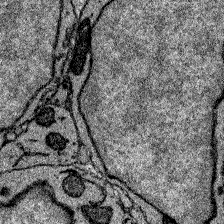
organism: Zebrafish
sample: Larval olfactory bulb